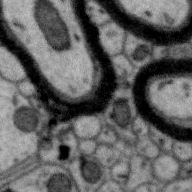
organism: Zebra finch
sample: Brain